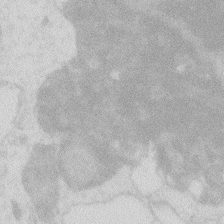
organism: Zebrafish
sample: Macrophage